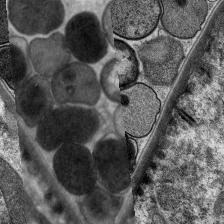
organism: C. elegans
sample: Pharynx